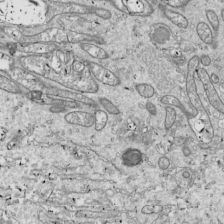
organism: Drosophila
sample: Cell division; meiosis; drosophila spermatocytes